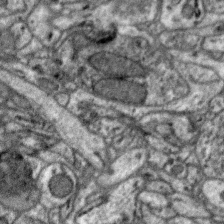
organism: Zebra finch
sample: Brain